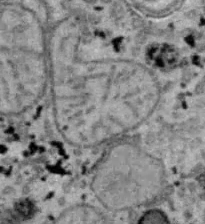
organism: Mouse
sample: Liver from an obese (ob/ob) mouse